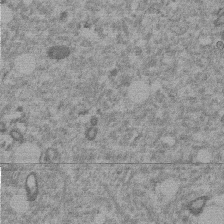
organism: Mouse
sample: Dividing mouse embryo 1 cell stage